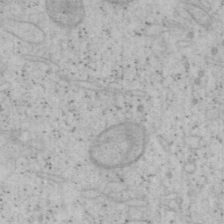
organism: Human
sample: HeLa cells